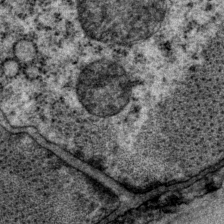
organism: P. pacificus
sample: Pharynx